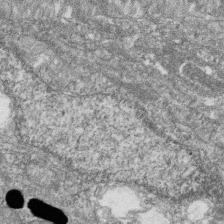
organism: Zebrafish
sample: Cilia; retinal pigment epithelium